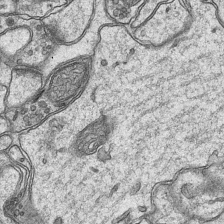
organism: Mouse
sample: CA1 Hippocampus